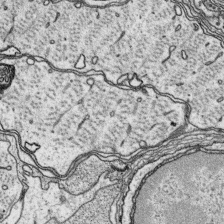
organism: Platynereis dumerilii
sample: Parapodia